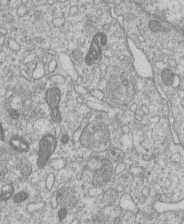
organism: Human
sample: Macrophage cells